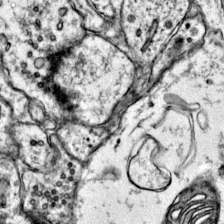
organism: Mouse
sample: Primary visual cortex